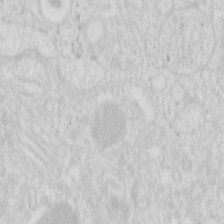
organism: Mouse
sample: Pancreas